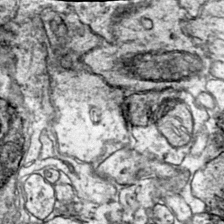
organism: Mouse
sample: Primary visual cortex